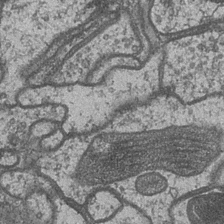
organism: Drosophila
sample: Optic medulla